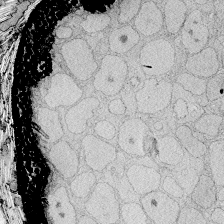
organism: Zebrafish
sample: Whole-Brain